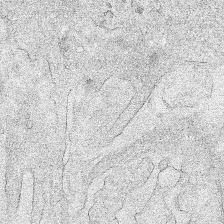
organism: Human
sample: Mitochondria in HCT116 cells